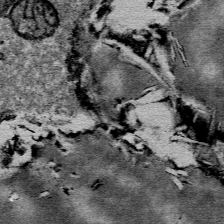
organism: Mouse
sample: Mouse Salivary gland